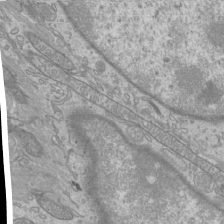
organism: Mouse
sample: Cilia; mouse epididymis